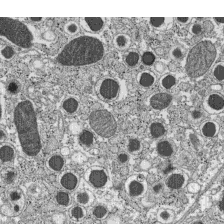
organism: C57BL Mouse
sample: Pancreatic islet